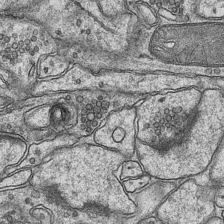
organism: Mouse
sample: CA1 Hippocampus